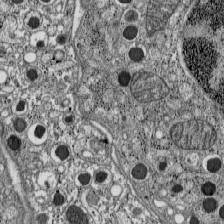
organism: C57BL Mouse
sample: Pancreatic islet